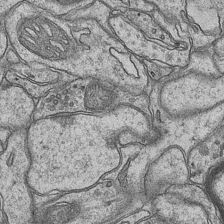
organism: Mouse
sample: CA1 Hippocampus